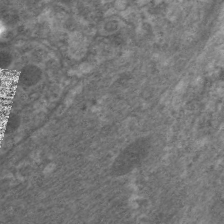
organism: C. elegans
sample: Pharynx